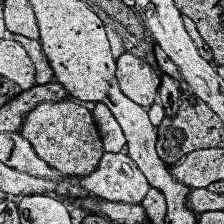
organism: Human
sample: Temporal Lobe